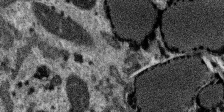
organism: Human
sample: Lung epithelial cells infected with SARS-CoV-2